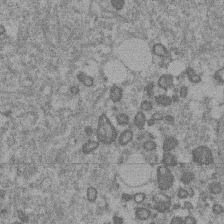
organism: Mouse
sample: Dividing mouse embryo 1 cell stage